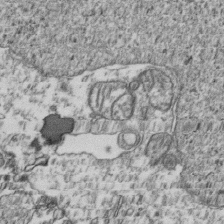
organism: Human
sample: Activated Jurkat CD4+ T cells